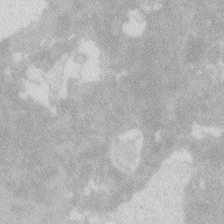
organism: Zebrafish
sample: Macrophage